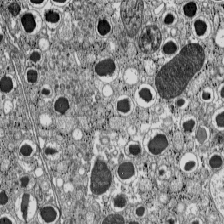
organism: C57BL Mouse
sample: Pancreatic islet